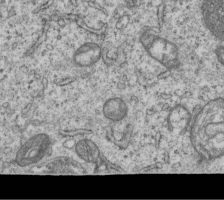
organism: Human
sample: MDA-MB-231 cells